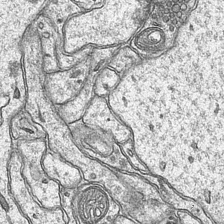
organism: Mouse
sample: CA1 Hippocampus